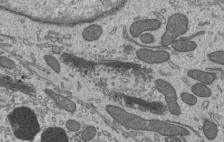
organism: Mouse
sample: Mouse epididymis efferent ductule cilia